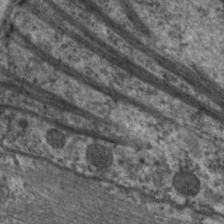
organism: C. elegans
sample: Pharynx